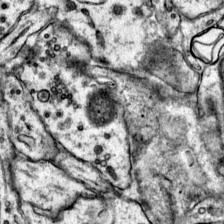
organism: Mouse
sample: Primary visual cortex